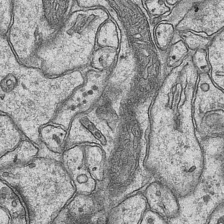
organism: Mouse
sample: CA1 Hippocampus